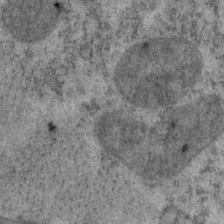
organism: P. pacificus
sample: Pharynx